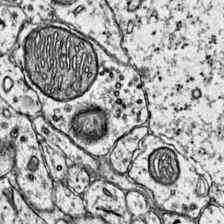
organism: Mouse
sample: Primary visual cortex